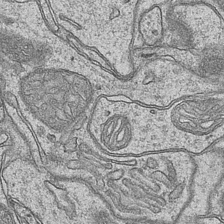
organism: Mouse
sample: CA1 Hippocampus